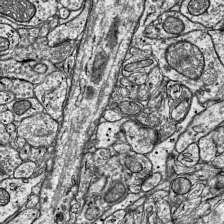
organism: Mouse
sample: Visual Cortex